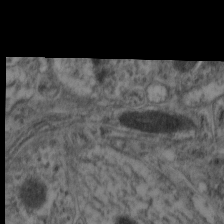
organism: Mouse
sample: Neocortex